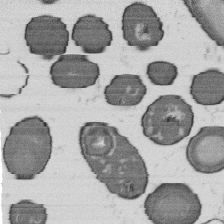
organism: B. subtilis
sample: Bacterial spore